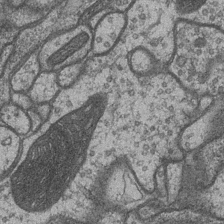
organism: Drosophila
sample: Optic medulla